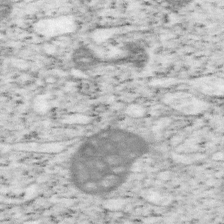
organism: Mouse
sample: OT-I killer T cells with ID8 ovarian cancer cells